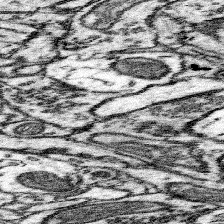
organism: Mouse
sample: Somatosensory cortex neuropil